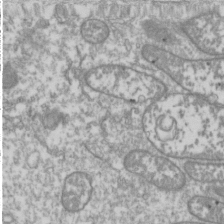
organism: Drosophila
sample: Cell division; meiosis; drosophila spermatocytes